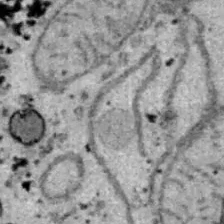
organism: Mouse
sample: Liver from an obese (ob/ob) mouse